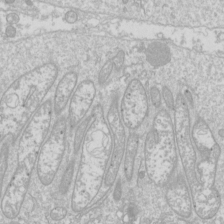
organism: Drosophila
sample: Cell division; meiosis; drosophila spermatocytes